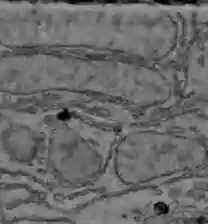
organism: C57BL Mouse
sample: Liver